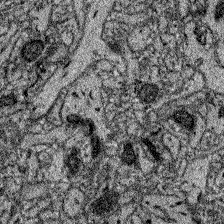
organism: Zebrafish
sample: Larval olfactory bulb